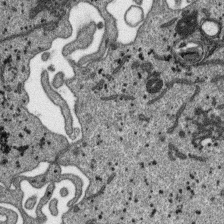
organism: Human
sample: Lung epithelial cells infected with SARS-CoV-2